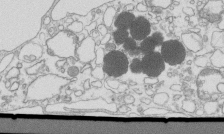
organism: Mouse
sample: Macrophages